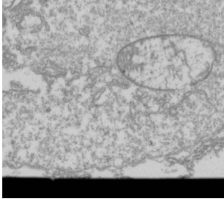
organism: Drosophila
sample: Cell division; meiosis; drosophila spermatocytes